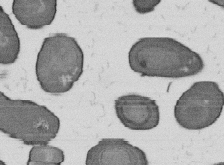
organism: B. subtilis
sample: Bacterial spore